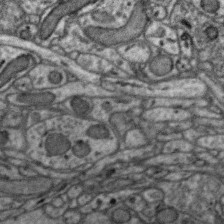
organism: Zebra finch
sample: Brain